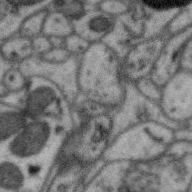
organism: Zebra finch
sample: Brain